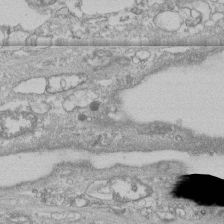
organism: Human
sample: CRL-1474